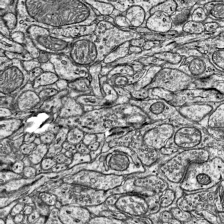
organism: Mouse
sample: Visual Cortex